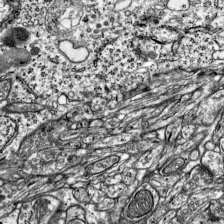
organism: Mouse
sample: Visual Cortex